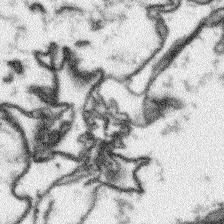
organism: Arabidopsis thaliana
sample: Root tip